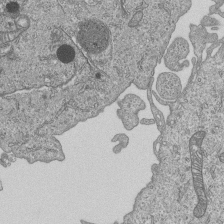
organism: Human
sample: MDA-MB-231 cells